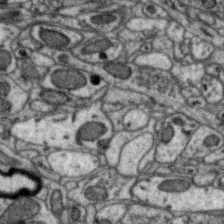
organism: Zebra finch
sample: Brain